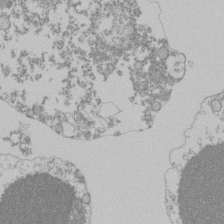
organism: Mouse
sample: Activated Pmel transgenic CD8+ T Cells